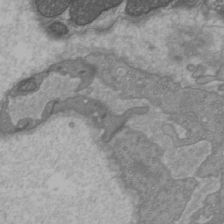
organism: C57BL Mouse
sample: Heart